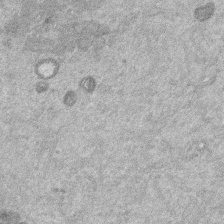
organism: Mouse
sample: Dividing mouse embryo 1 cell stage